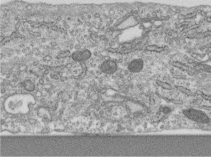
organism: Human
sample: Centriole in RPE cells